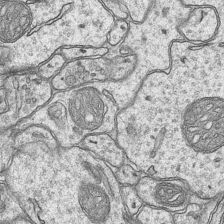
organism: Mouse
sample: CA1 Hippocampus